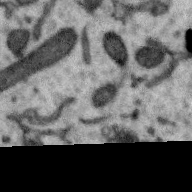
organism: Zebra finch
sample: Brain